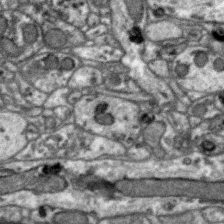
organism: Zebra finch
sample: Brain